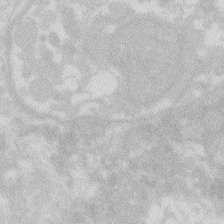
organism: Zebrafish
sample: Macrophage